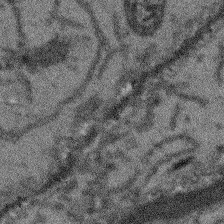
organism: Arabidopsis thaliana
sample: Root tip